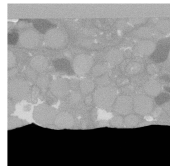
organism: C. elegans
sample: C. elegans oocyte; sperm cells